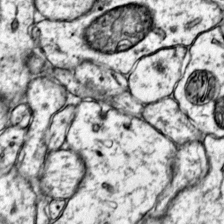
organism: Mouse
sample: Primary visual cortex